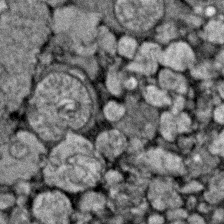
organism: Zebrafish